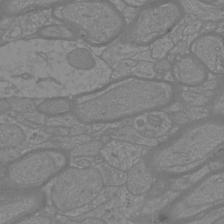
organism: Mouse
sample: Cortical neurons